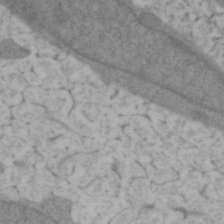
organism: Zebrafish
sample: Zebrafish embryo